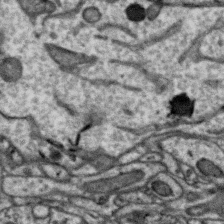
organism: Zebra finch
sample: Brain